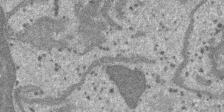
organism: Human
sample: Lung epithelial cells infected with SARS-CoV-2